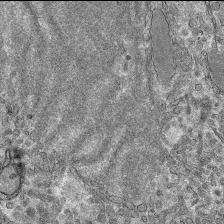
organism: Mouse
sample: Mouse hepatocytes